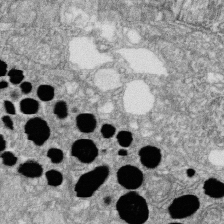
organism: Zebrafish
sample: Cilia; retinal pigment epithelium